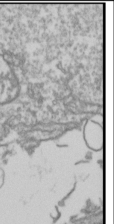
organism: Drosophila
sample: Cell division; meiosis; drosophila spermatocytes